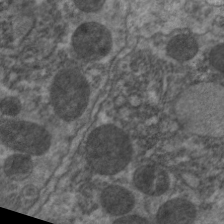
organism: C. elegans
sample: Pharynx